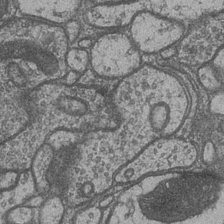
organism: Drosophila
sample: Optic medulla